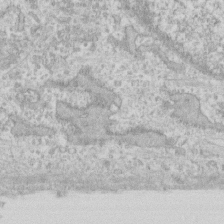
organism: Human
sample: Fibroblast cells